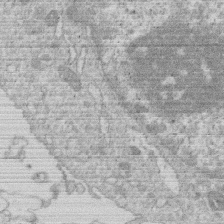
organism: Human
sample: Macrophage cells